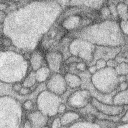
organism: Rabbit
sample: Retina